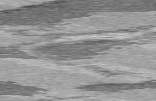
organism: C57BL Mouse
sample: Heart